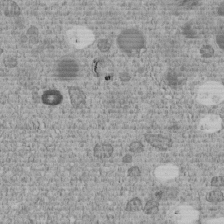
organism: C. elegans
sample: C. elegans embryo early stage